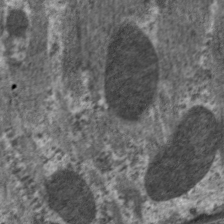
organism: C. elegans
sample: Pharynx